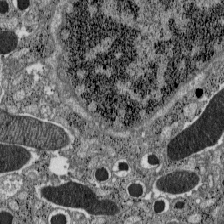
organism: C57BL Mouse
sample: Pancreatic islet